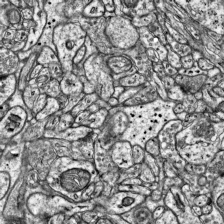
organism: Mouse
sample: Visual Cortex